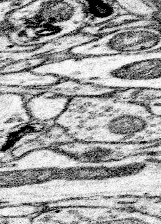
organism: Mouse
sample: Somatosensory cortex neuropil